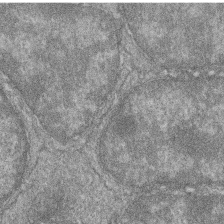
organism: Zebrafish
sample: Cilia; retinal pigment epithelium